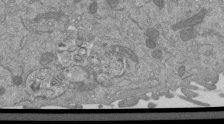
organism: Mouse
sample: ED-1 cell nuclei; centrioles